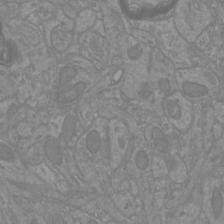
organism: Mouse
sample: Cortical neurons